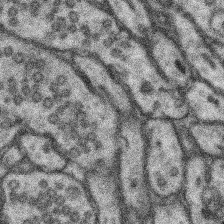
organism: Mouse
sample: Somatosensory cortex neuropil